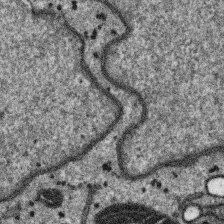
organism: Human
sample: Lung epithelial cells infected with SARS-CoV-2